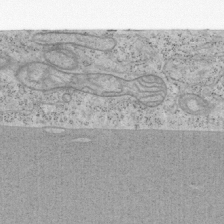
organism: Human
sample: HeLa cells